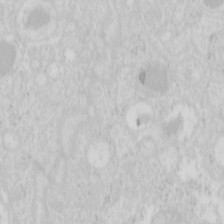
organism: Mouse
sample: Pancreas